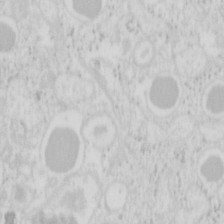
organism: Mouse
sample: Pancreas